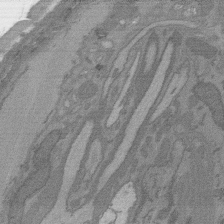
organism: C. elegans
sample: AFD neurons C. elegans